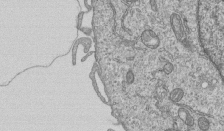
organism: Human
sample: MDA-MB-231 cells